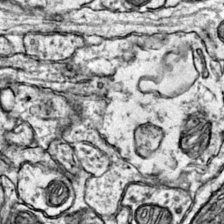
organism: Mouse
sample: Primary visual cortex